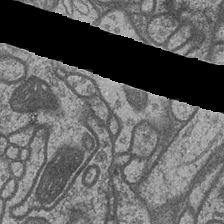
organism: Drosophila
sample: Optic medulla